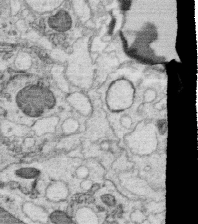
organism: C. elegans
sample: C. elegans oocyte; sperm cells